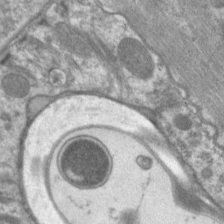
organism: C. elegans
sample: Pharynx